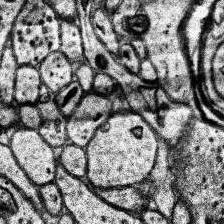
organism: Human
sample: Temporal Lobe